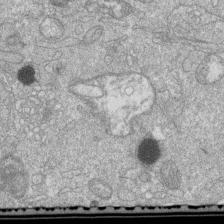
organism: Human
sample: HeLa cell HIV synapse